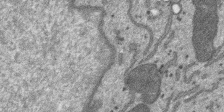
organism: Human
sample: Lung epithelial cells infected with SARS-CoV-2